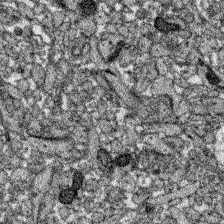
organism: Zebrafish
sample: Larval olfactory bulb